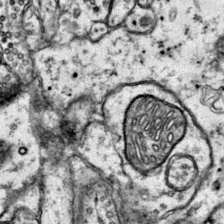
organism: Mouse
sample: Primary visual cortex